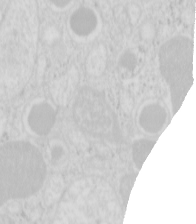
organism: Mouse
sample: Pancreas